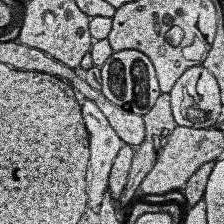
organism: Human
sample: Temporal Lobe